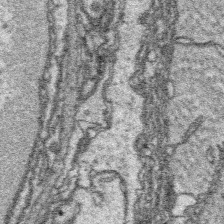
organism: Platynereis dumerilii